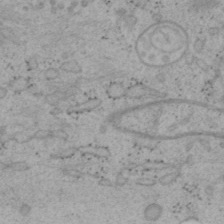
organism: Human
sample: HeLa cells